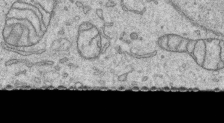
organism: Human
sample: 1205lu cells